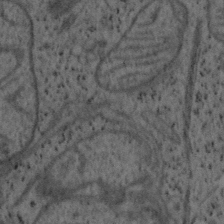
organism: Human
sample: HeLa cells